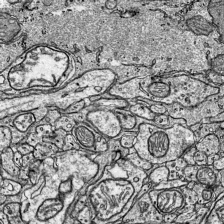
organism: Mouse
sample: Visual Cortex